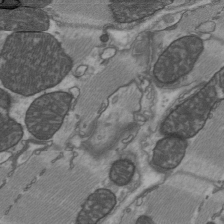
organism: C57BL Mouse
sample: Heart